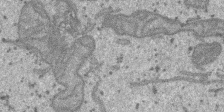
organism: Human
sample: Lung epithelial cells infected with SARS-CoV-2